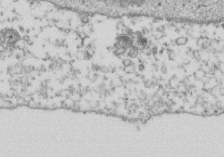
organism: Human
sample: Activated Jurkat CD4+ T cells